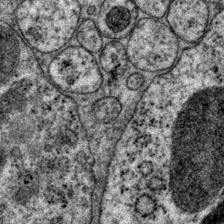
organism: P. pacificus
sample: Pharynx